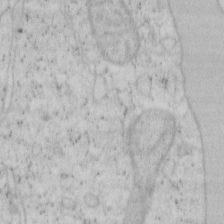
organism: Human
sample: HeLa cells